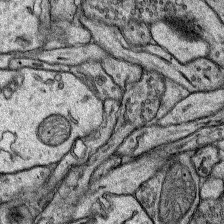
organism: Rat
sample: Hippocampus